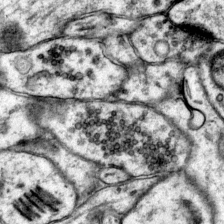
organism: Mouse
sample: Primary visual cortex